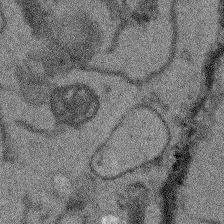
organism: Arabidopsis thaliana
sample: Root tip